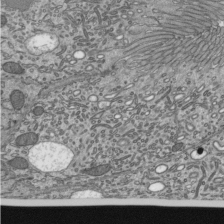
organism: Mouse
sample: Mouse epididymis efferent ductule cilia